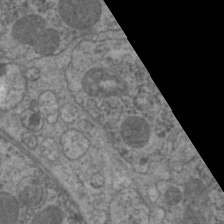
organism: C. elegans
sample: Pharynx